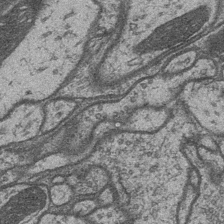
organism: Drosophila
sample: Optic medulla